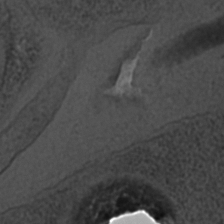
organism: C. elegans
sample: C. elegans embryo